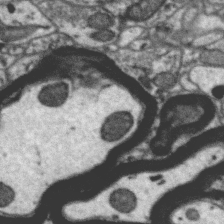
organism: Zebra finch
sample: Brain